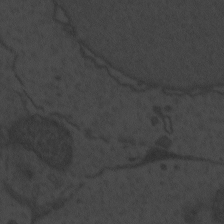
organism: Zebrafish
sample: Macrophage infected with Toxoplasma gondii